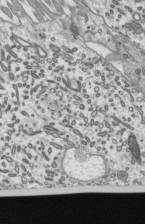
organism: Mouse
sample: Mouse epididymis efferent ductule cilia